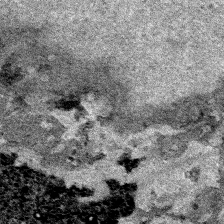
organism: Human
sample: Mitochondria in HCT116 cells